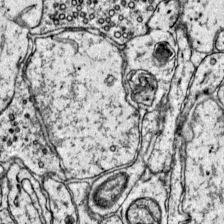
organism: Mouse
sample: Primary visual cortex